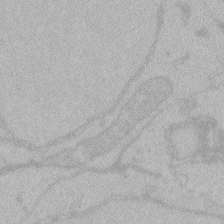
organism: Zebrafish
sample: Macrophage infected with Toxoplasma gondii